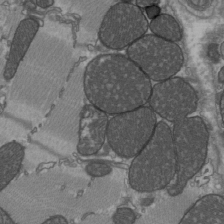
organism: C57BL Mouse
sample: Heart